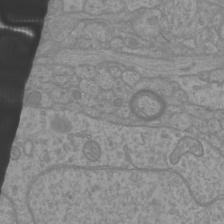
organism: Mouse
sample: Cortical neurons